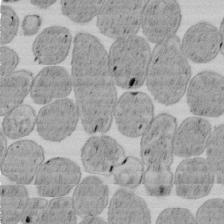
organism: E. coli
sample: Bacterial nucleoid